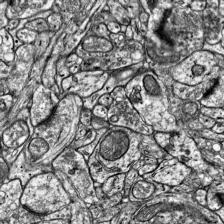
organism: Mouse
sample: Visual Cortex